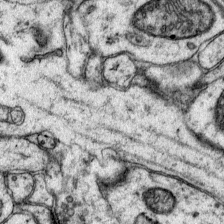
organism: Mouse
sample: Primary visual cortex